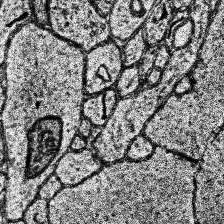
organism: Human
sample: Temporal Lobe